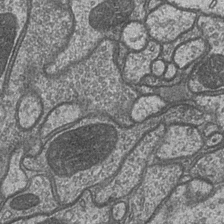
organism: Drosophila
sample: Optic medulla